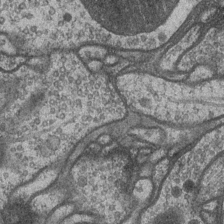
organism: Drosophila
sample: Optic medulla